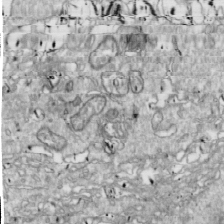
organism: Drosophila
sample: Cell division; meiosis; drosophila spermatocytes